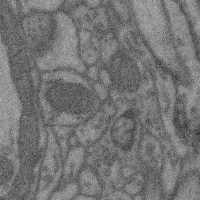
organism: Mouse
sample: Cerebral cortex